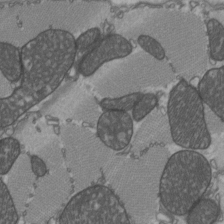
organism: C57BL Mouse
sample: Heart